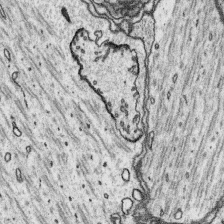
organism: Platynereis dumerilii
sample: Parapodia